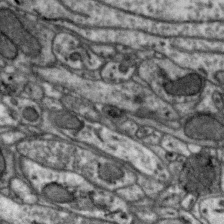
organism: Zebra finch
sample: Brain